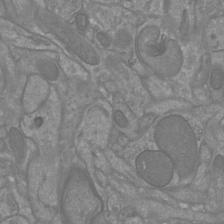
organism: Mouse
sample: Cortical neurons